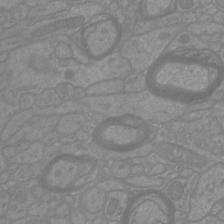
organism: Mouse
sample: Cortical neurons